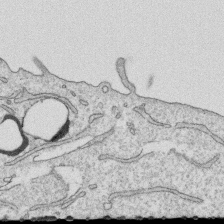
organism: Human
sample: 1205lu cells